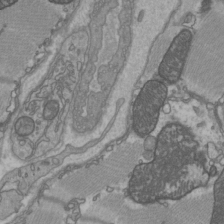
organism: C57BL Mouse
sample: Heart